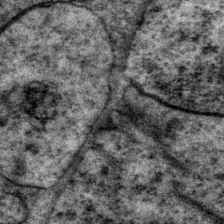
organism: P. pacificus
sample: Pharynx